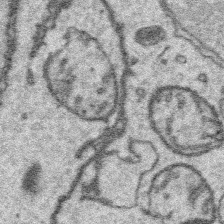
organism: Platynereis dumerilii